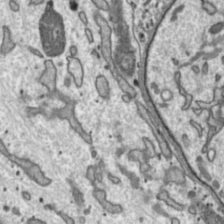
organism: Toxoplasma gondii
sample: Parasites in a vacuole inside a host cell